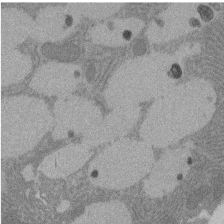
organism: Rat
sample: Salivary granule